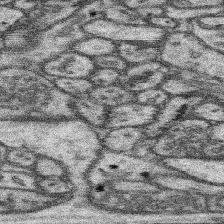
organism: Mouse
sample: Somatosensory cortex neuropil